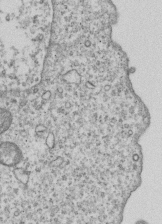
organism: Human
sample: MDA-MB-231 cells